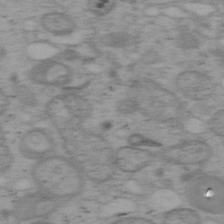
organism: Mouse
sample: OT-I killer T cells with ID8 ovarian cancer cells